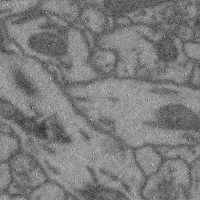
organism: Mouse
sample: Cerebral cortex